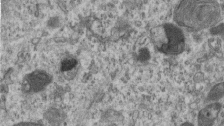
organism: Mouse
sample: Centriole in ependymal cells